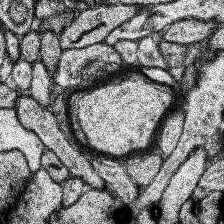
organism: Human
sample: Temporal Lobe